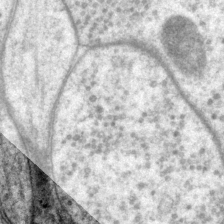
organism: P. pacificus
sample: Pharynx